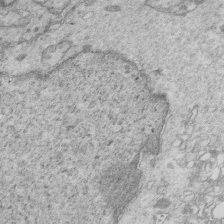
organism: Mouse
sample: Multiciliated cells